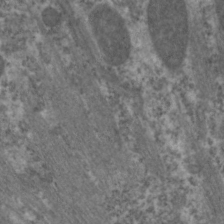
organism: C. elegans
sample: Pharynx